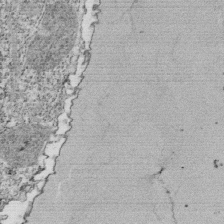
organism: Tetrahymena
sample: Cilia in tetrahymena